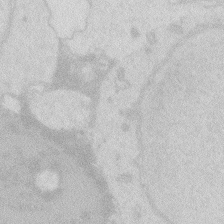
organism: Zebrafish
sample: Macrophage